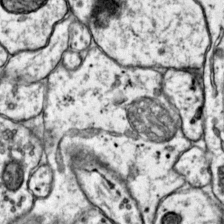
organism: Mouse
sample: Primary visual cortex